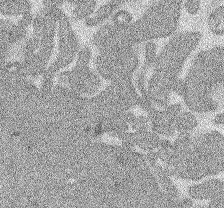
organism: Human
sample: HeLa cells